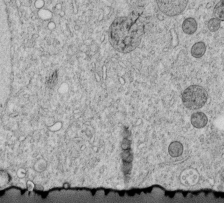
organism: C. elegans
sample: C. elegans embryo early stage